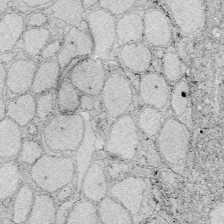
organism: Zebrafish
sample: Whole-Brain